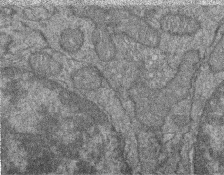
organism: Zebrafish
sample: Cilia; retinal pigment epithelium